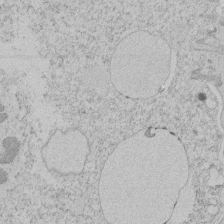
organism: Tetrahymena